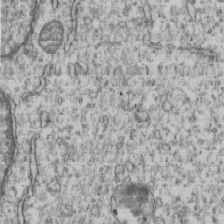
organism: Human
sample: MDA-MB-231 cells